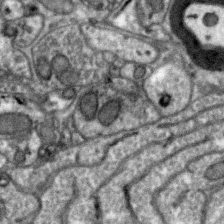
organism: Zebra finch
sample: Brain